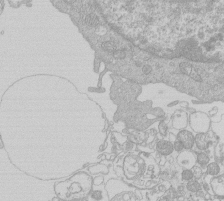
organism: Human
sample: Macrophage cells